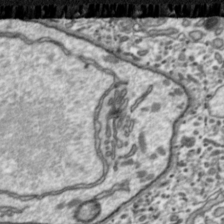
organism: Toxoplasma gondii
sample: Parasites in a vacuole inside a host cell